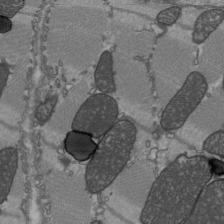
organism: C57BL Mouse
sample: Heart